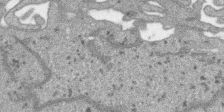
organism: Human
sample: Lung epithelial cells infected with SARS-CoV-2